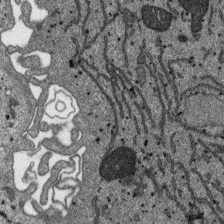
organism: Human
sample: Lung epithelial cells infected with SARS-CoV-2